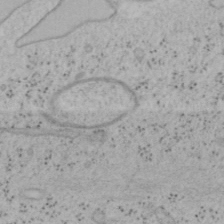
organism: Human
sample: HeLa cells